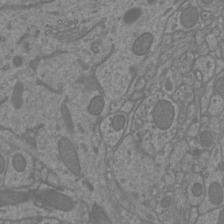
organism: Mouse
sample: Cortical neurons